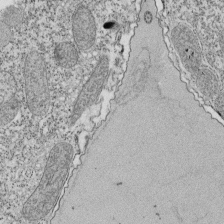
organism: Tetrahymena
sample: Cilia in tetrahymena